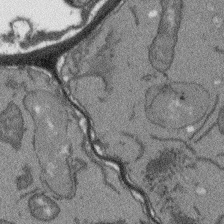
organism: Arabidopsis thaliana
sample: Root tip